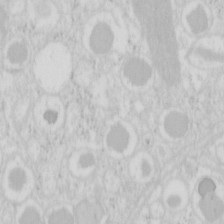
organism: Mouse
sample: Pancreas